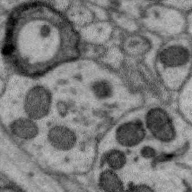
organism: Zebra finch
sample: Brain